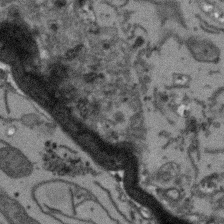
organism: Arabidopsis thaliana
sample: Root tip